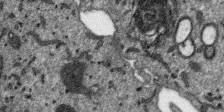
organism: Human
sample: Lung epithelial cells infected with SARS-CoV-2